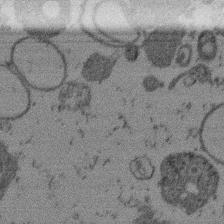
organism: Mouse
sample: Dividing mouse embryo 1 cell stage